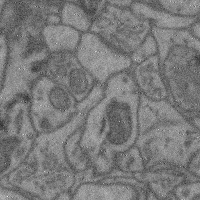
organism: Mouse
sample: Cerebral cortex